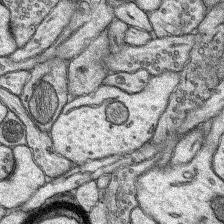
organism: Rat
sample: Hippocampus